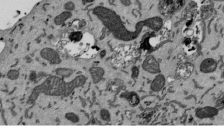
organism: Mouse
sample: ED-1 cell nuclei; centrioles